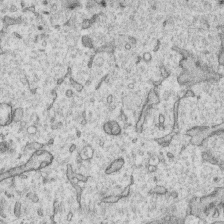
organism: Human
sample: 1205lu cells